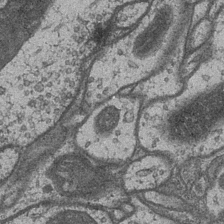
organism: Drosophila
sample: Optic medulla